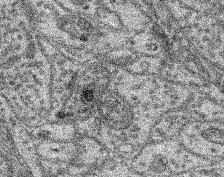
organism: Mouse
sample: Retina